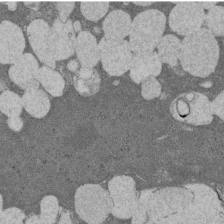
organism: Rat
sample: Salivary granule